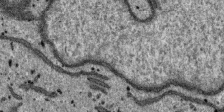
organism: Human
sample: Lung epithelial cells, uninfected (mock) control